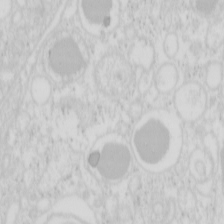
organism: Mouse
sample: Pancreas